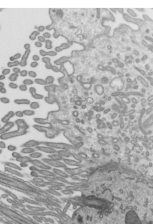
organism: Mouse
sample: Mouse epididymis efferent ductule cilia